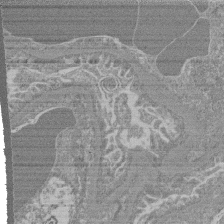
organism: Mouse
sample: Glomerulus